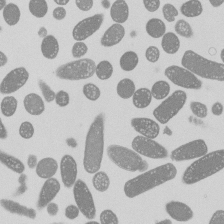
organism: E. coli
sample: Bacterial nucleoid